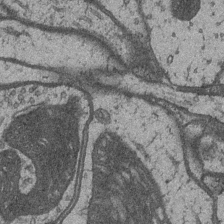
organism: Drosophila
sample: Optic medulla